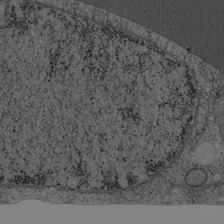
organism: African green monkey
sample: COS-7 cells